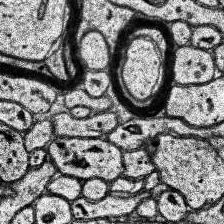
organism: Human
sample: Temporal Lobe